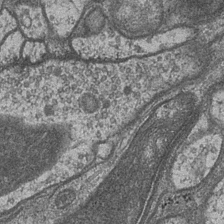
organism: Drosophila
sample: Optic medulla